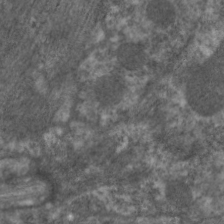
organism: C. elegans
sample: Pharynx